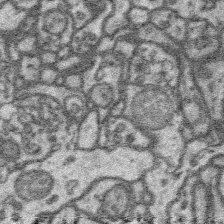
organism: Platynereis dumerilii